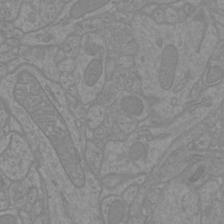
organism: Mouse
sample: Cortical neurons